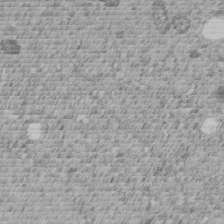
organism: C. elegans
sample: C. elegans embryo early stage